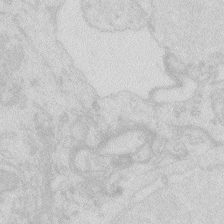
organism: Zebrafish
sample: Macrophage